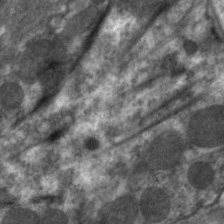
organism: C. elegans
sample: Pharynx